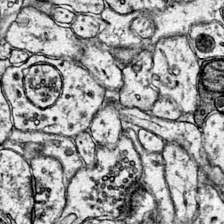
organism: Mouse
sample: Primary visual cortex